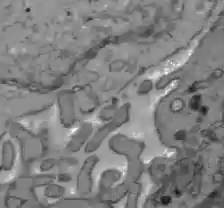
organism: C57BL Mouse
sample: Liver